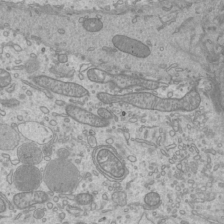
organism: Mouse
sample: Cilia; mouse epididymis